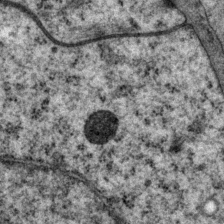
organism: P. pacificus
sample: Pharynx